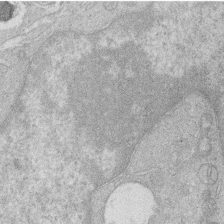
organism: Human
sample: Macrophage cells